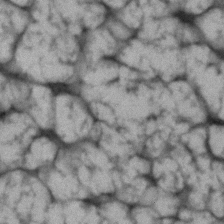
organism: Human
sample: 1205lu cells